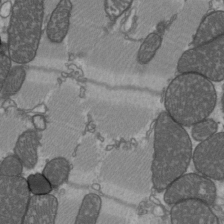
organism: C57BL Mouse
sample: Heart